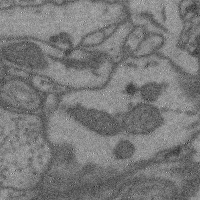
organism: Mouse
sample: Cerebral cortex